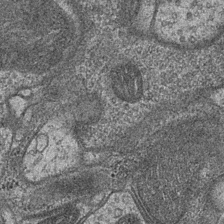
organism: Drosophila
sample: Optic medulla